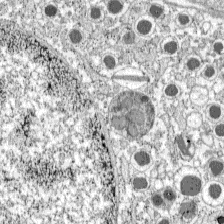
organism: C57BL Mouse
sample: Pancreatic islet